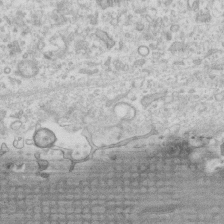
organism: Human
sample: Fibroblast cells